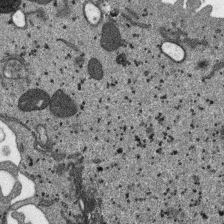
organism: Human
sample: Lung epithelial cells infected with SARS-CoV-2